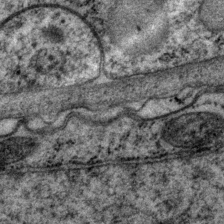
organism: P. pacificus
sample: Pharynx